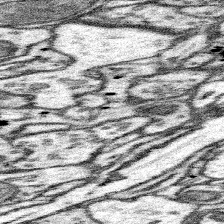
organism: Mouse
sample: Somatosensory cortex neuropil